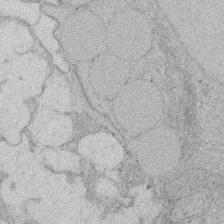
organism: Rat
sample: Salivary granule